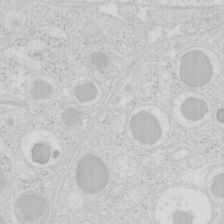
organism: Mouse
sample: Pancreas